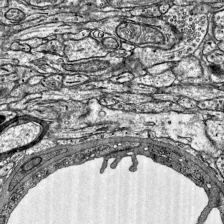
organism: Mouse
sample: Visual Cortex